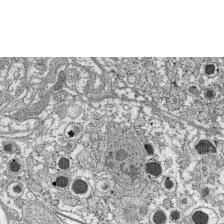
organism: C57BL Mouse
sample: Pancreatic islet